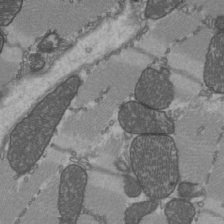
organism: C57BL Mouse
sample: Heart